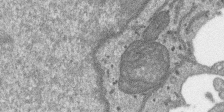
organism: Human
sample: Lung epithelial cells infected with SARS-CoV-2